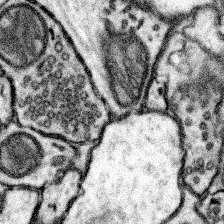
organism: Mouse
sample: Somatosensory cortex neuropil